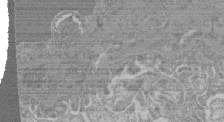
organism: Mouse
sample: Glomerulus